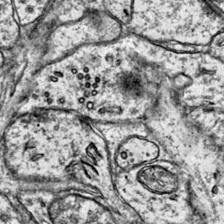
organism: Mouse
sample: Primary visual cortex